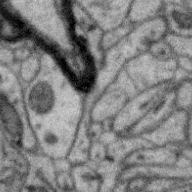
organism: Zebra finch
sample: Brain